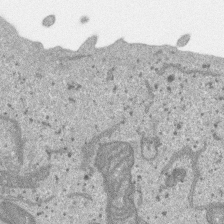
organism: Human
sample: Lung epithelial cells infected with SARS-CoV-2